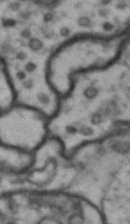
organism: Drosophila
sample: Brain